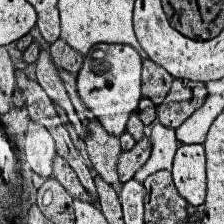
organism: Human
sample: Temporal Lobe